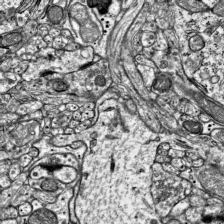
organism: Mouse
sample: Visual Cortex